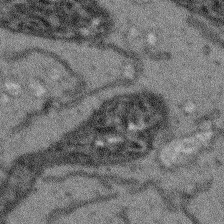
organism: Arabidopsis thaliana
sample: Root tip